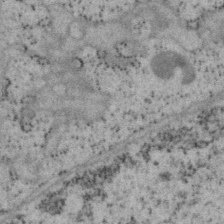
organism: Human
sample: HeLa cells